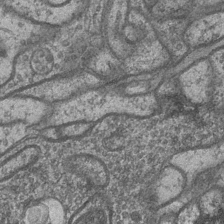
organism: Drosophila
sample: Optic medulla